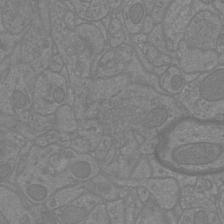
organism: Mouse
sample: Cortical neurons